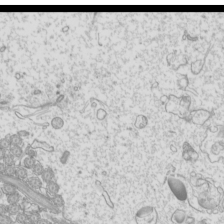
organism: Mouse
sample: Cilia; mouse epididymis